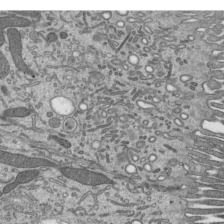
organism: Mouse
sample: Mouse epididymis efferent ductule cilia